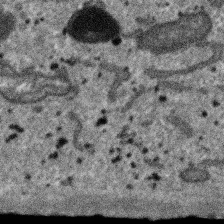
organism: Human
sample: Lung epithelial cells infected with SARS-CoV-2